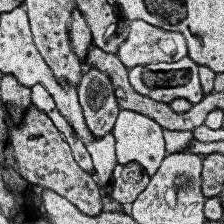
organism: Human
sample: Temporal Lobe